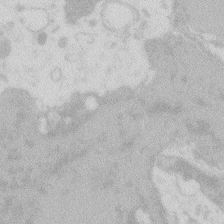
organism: Zebrafish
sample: Macrophage